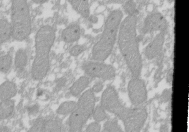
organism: Xenopus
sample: Cilia; centrioles in frog embryo cells